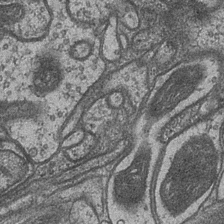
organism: Drosophila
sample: Optic medulla